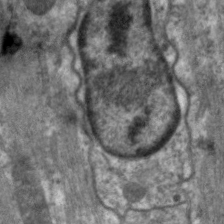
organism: C. elegans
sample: Pharynx